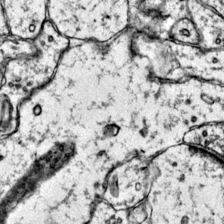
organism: Mouse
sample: Primary visual cortex